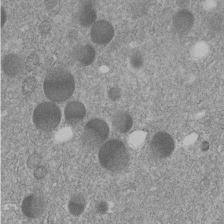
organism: C. elegans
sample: C. elegans embryo early stage